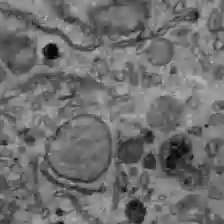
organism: C57BL Mouse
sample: Liver